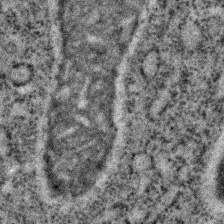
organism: C. elegans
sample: C. elegans embryo